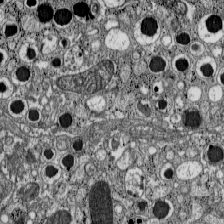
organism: C57BL Mouse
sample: Pancreatic islet